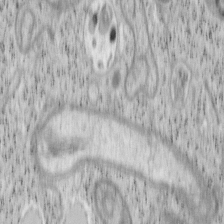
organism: Human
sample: HeLa cells